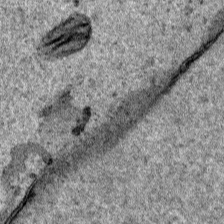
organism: Human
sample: Mitochondria in HCT116 cells